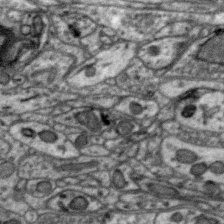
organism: Zebra finch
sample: Brain